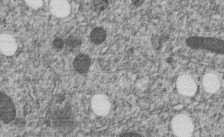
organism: C. elegans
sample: C. elegans embryo early stage